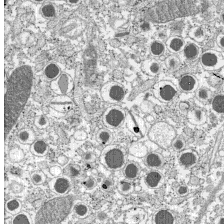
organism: C57BL Mouse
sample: Pancreatic islet